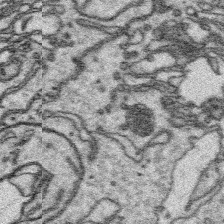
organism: Platynereis dumerilii